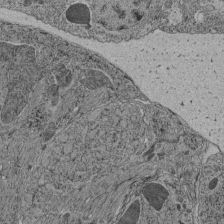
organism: C. elegans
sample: C. elegans pharynx